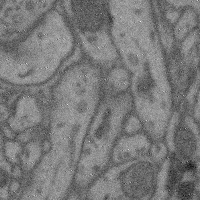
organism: Mouse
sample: Cerebral cortex